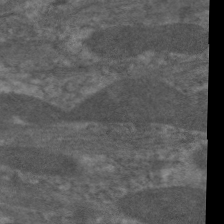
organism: C. elegans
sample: Pharynx